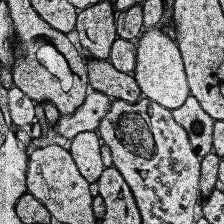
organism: Human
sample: Temporal Lobe